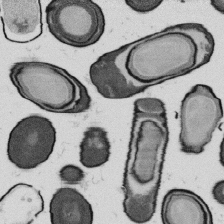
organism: B. subtilis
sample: Bacterial spore